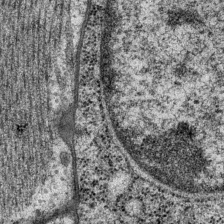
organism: P. pacificus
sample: Pharynx